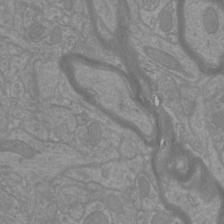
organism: Mouse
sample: Cortical neurons